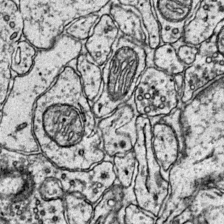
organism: Mouse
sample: Primary visual cortex